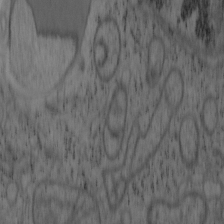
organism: Human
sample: HeLa cells